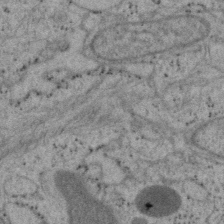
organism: Human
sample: HeLa cells